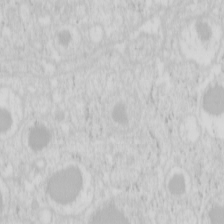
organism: Mouse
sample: Pancreas